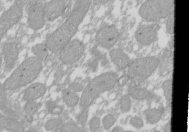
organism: Xenopus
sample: Cilia; centrioles in frog embryo cells